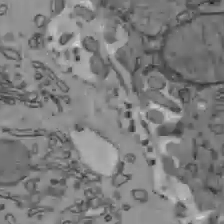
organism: C57BL Mouse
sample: Liver